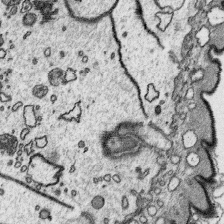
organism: Platynereis dumerilii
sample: Parapodia